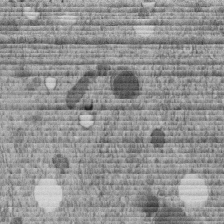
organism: C. elegans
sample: C. elegans embryo early stage